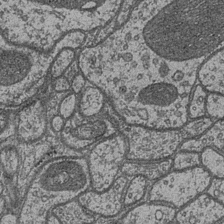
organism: Drosophila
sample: Optic medulla